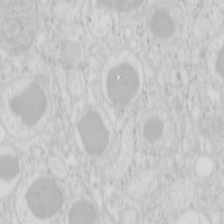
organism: Mouse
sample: Pancreas